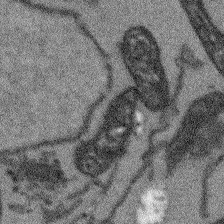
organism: Arabidopsis thaliana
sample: Root tip